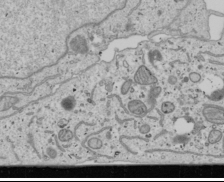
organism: Human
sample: Mitochondria in U2OS cells